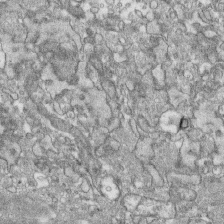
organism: Human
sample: CRL-1474